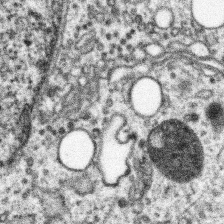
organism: Human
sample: HeLa cells